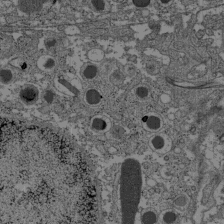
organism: C57BL Mouse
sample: Pancreatic islet